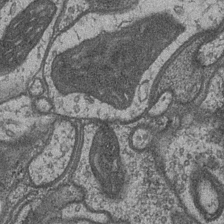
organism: Drosophila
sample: Optic medulla